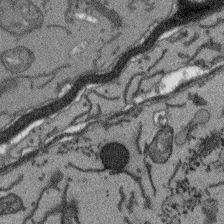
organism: Arabidopsis thaliana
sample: Root tip